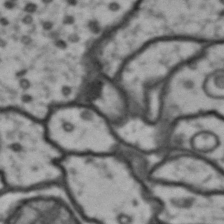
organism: Drosophila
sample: Brain